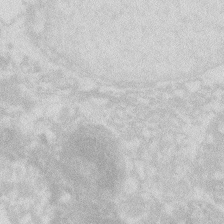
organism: Zebrafish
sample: Macrophage